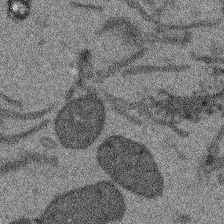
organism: Arabidopsis thaliana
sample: Root tip